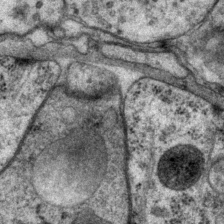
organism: P. pacificus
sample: Pharynx